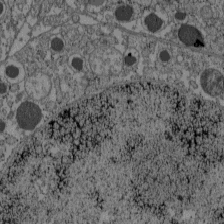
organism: C57BL Mouse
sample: Pancreatic islet